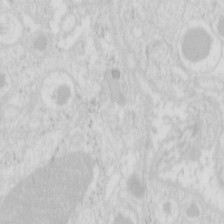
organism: Mouse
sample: Pancreas